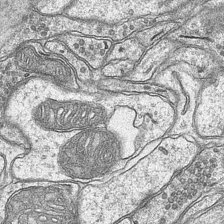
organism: Mouse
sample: CA1 Hippocampus